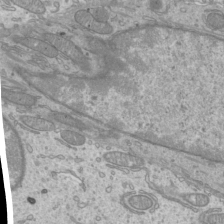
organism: Mouse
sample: Cilia; mouse epididymis